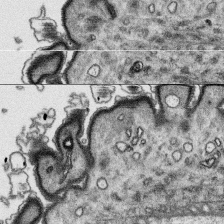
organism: Platynereis dumerilii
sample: Parapodia